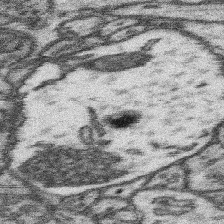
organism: Mouse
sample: Somatosensory cortex neuropil